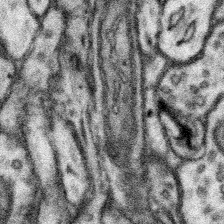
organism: Mouse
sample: Somatosensory cortex neuropil